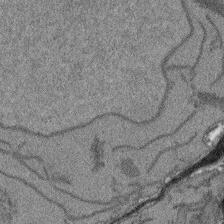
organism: Arabidopsis thaliana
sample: Root tip